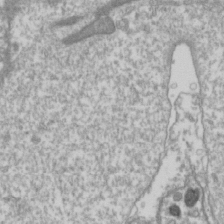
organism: Drosophila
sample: Cell division; meiosis; drosophila spermatocytes